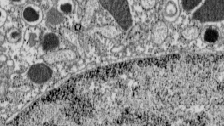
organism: C57BL Mouse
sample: Pancreatic islet